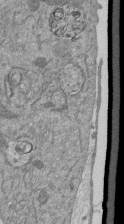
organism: Mouse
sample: ED-1 cell nuclei; centrioles